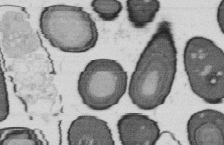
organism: B. subtilis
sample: Bacterial spore